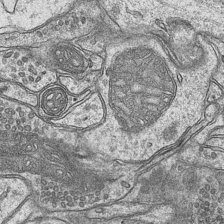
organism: Mouse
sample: CA1 Hippocampus